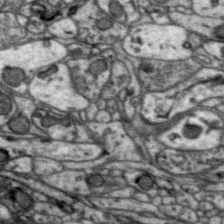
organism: Zebra finch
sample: Brain